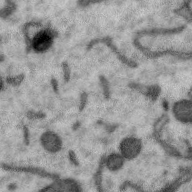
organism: Zebra finch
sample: Brain